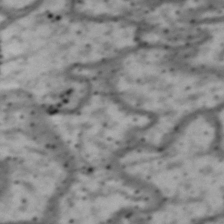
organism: Drosophila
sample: Brain